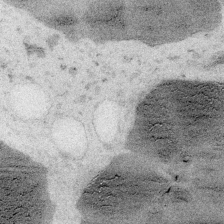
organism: Embia sp.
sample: Silk gland